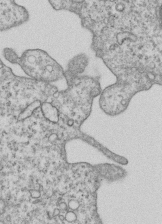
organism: Human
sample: MDA-MB-231 cells